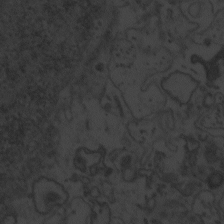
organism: Zebrafish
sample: Macrophage infected with Toxoplasma gondii